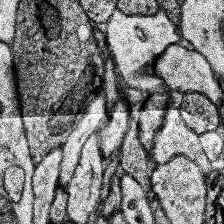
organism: Human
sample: Temporal Lobe